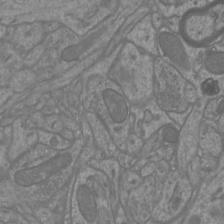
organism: Mouse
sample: Cortical neurons